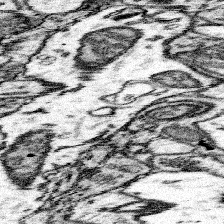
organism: Mouse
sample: Somatosensory cortex neuropil